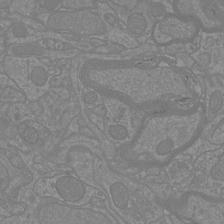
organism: Mouse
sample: Cortical neurons